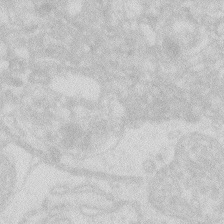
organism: Zebrafish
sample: Macrophage